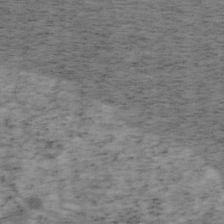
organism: Mouse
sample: OT-I killer T cells with ID8 ovarian cancer cells